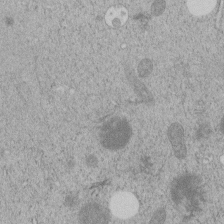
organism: C. elegans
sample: C. elegans embryo early stage